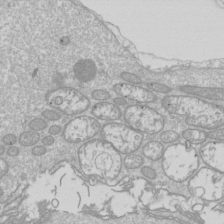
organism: Drosophila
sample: Cell division; meiosis; drosophila spermatocytes